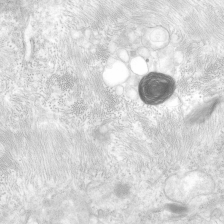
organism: Human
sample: Neocortex